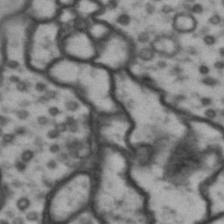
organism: Drosophila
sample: Brain